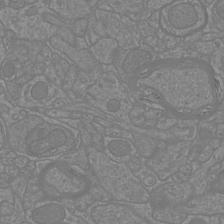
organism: Mouse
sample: Cortical neurons